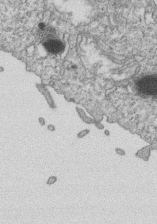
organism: Human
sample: HeLa cell HIV synapse